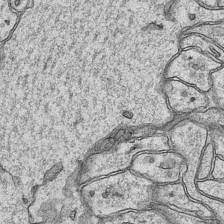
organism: Mouse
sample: CA1 Hippocampus